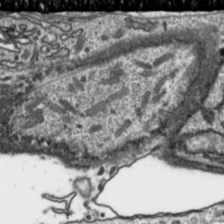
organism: Toxoplasma gondii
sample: Parasites in a vacuole inside a host cell